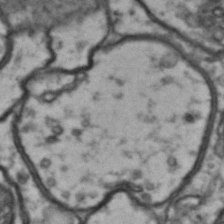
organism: Drosophila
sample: Brain